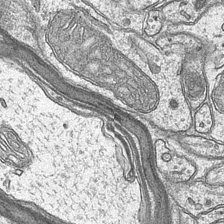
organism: Mouse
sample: CA1 Hippocampus